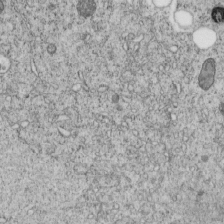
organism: C. elegans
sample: C. elegans embryo early stage